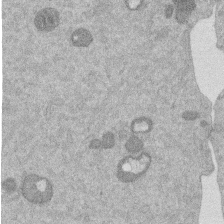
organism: Mouse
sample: Dividing mouse embryo 1 cell stage